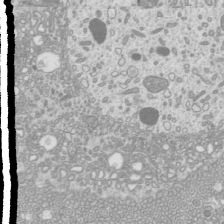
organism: Mouse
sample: Cilia; mouse epididymis